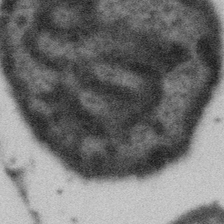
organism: Gemmata obscuriglobus